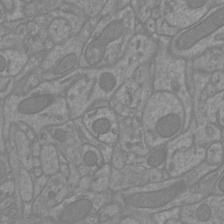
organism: Mouse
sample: Cortical neurons